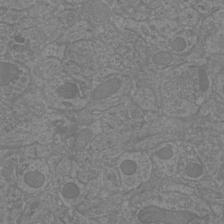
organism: Mouse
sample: Cortical neurons